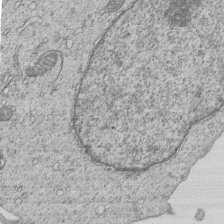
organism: Human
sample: MDA-MB-231 cells